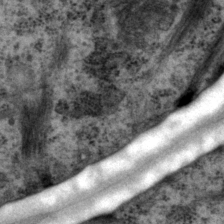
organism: P. pacificus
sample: Pharynx